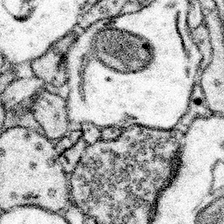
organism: Mouse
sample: Somatosensory cortex neuropil